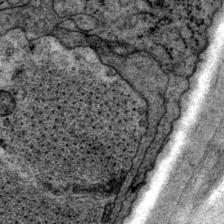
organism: P. pacificus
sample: Pharynx